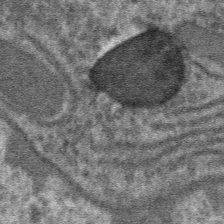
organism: Mouse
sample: Mouse hepatocytes